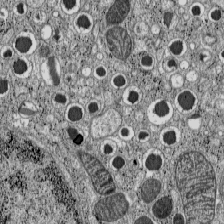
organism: C57BL Mouse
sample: Pancreatic islet